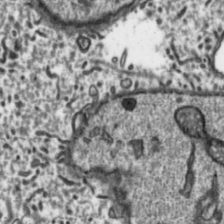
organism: Toxoplasma gondii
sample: Parasites in a vacuole inside a host cell